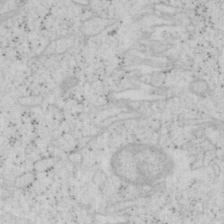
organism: Human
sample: HeLa cells